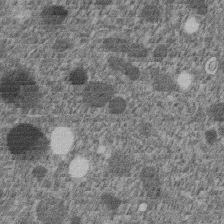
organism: C. elegans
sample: C. elegans embryo early stage